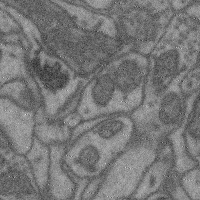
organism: Mouse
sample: Cerebral cortex